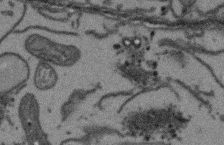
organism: Arabidopsis thaliana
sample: Root tip